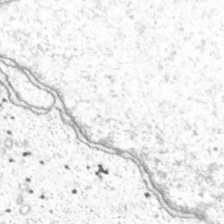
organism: Human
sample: HeLa cells